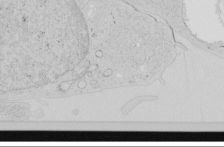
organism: Human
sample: Mitochondria in HCT116 cells